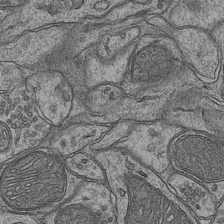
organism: Mouse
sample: CA1 Hippocampus